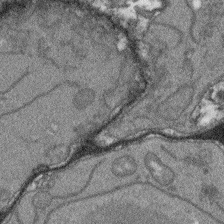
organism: Arabidopsis thaliana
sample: Root tip